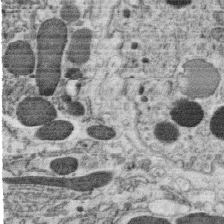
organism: C. elegans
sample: C. elegans oocyte; sperm cells